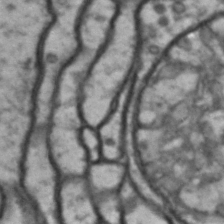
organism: Drosophila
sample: Brain